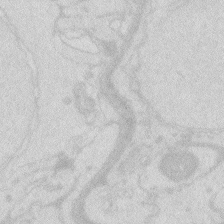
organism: Zebrafish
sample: Macrophage